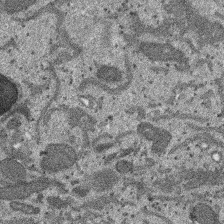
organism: Human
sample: Lung epithelial cells infected with SARS-CoV-2